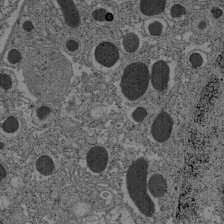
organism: C57BL Mouse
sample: Pancreatic islet